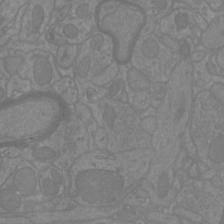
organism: Mouse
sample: Cortical neurons